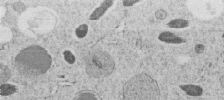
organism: C. elegans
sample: C. elegans embryo early stage